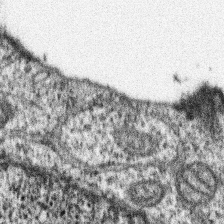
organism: Human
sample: HeLa cells